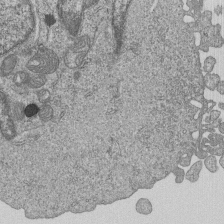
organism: Human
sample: MDA-MB-231 cells